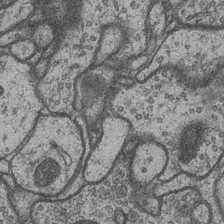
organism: Drosophila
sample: Optic medulla